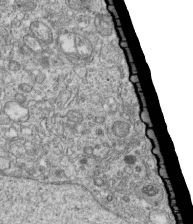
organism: Human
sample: HeLa cell HIV synapse